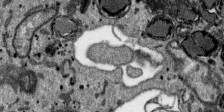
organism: Human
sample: Lung epithelial cells, uninfected (mock) control